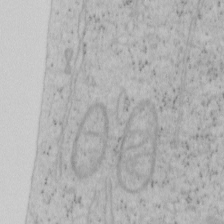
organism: Human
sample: HeLa cells